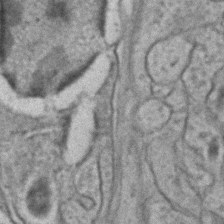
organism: C. elegans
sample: C. elegans embryo